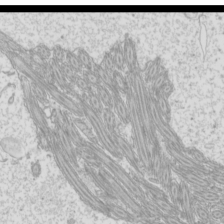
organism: Mouse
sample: Cilia; mouse epididymis